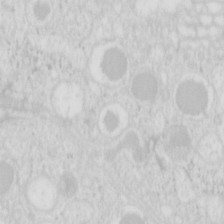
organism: Mouse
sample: Pancreas